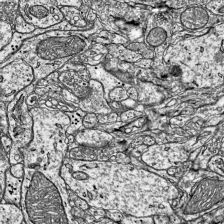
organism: Mouse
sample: Visual Cortex